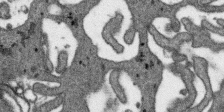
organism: Human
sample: Lung epithelial cells, uninfected (mock) control